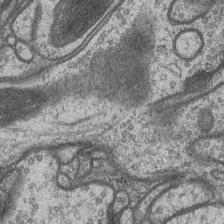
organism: Drosophila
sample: Optic medulla